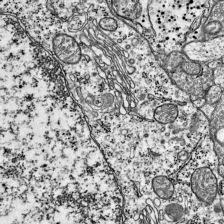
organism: Mouse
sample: Visual Cortex